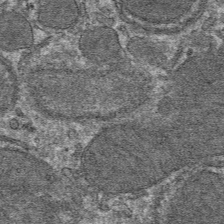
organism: Mouse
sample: Mouse hepatocytes